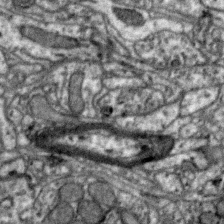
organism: Zebra finch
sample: Brain